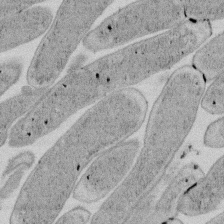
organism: E. coli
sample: Bacterial nucleoid